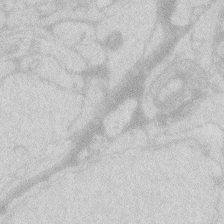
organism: Zebrafish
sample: Macrophage